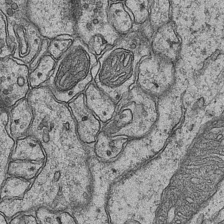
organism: Mouse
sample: CA1 Hippocampus